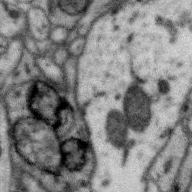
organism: Zebra finch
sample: Brain